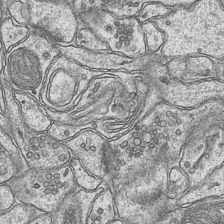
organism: Mouse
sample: CA1 Hippocampus